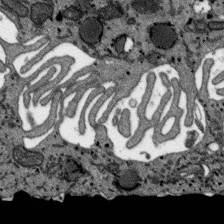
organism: Human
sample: Lung epithelial cells, uninfected (mock) control